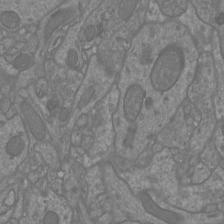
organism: Mouse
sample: Cortical neurons